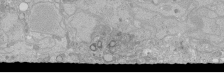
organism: Human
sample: Caco-2 cells